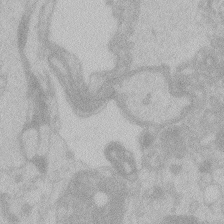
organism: Zebrafish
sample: Macrophage infected with Toxoplasma gondii